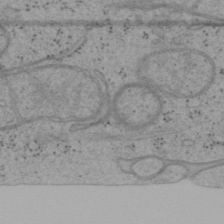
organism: Human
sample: HeLa cells